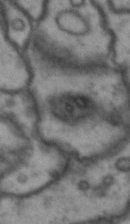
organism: Drosophila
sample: Brain